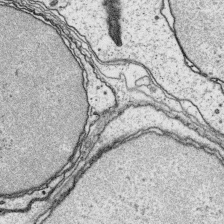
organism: Platynereis dumerilii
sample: Parapodia